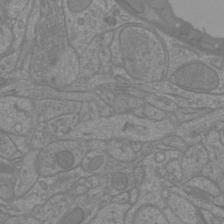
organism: Mouse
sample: Cortical neurons